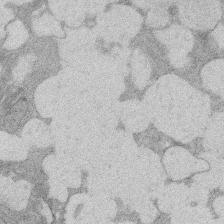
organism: Rat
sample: Salivary granule